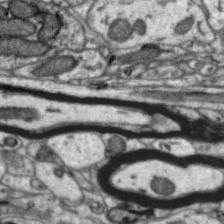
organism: Zebra finch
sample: Brain